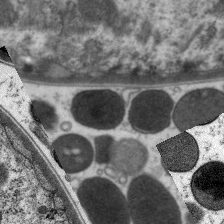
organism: C. elegans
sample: Pharynx